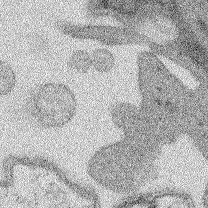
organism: Human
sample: HeLa cells